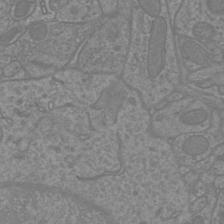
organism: Mouse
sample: Cortical neurons